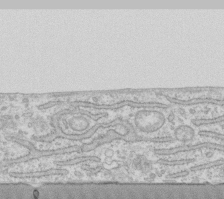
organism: Human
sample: Fibroblast cells